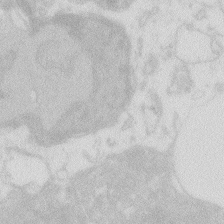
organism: Zebrafish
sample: Macrophage